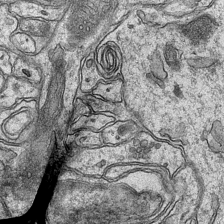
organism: Mouse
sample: CA1 Hippocampus